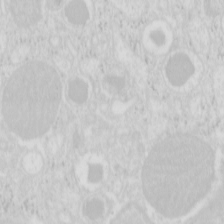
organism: Mouse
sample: Pancreas